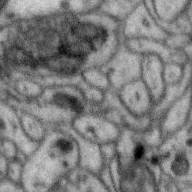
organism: Zebra finch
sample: Brain